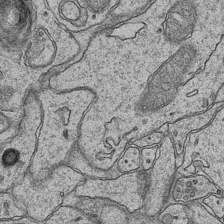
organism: Mouse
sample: CA1 Hippocampus